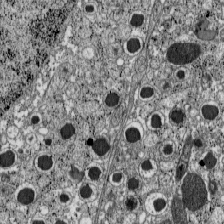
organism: C57BL Mouse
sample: Pancreatic islet